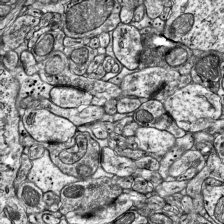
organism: Mouse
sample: Visual Cortex